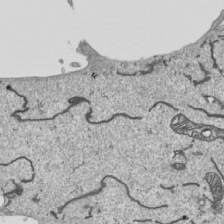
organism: Human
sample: Mitochondria in HCT116 cells